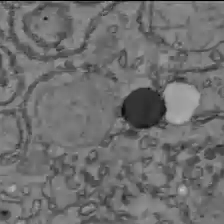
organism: C57BL Mouse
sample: Liver